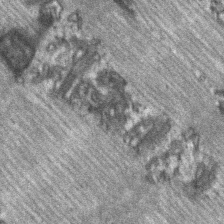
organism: C57BL Mouse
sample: Soleus